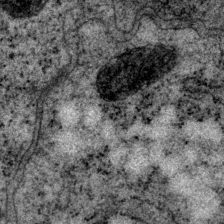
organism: P. pacificus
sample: Pharynx